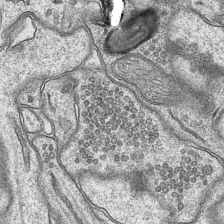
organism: Mouse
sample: CA1 Hippocampus